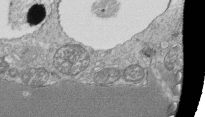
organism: Tetrahymena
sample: Cilia in tetrahymena